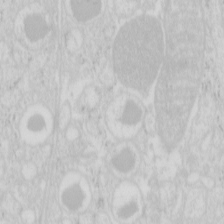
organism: Mouse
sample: Pancreas